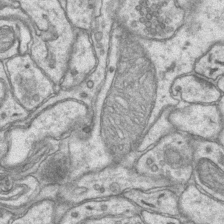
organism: Mouse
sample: CA1 Hippocampus